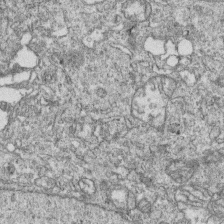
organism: Human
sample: HeLa cell HIV synapse